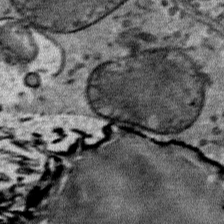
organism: Mouse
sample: Mouse Salivary gland